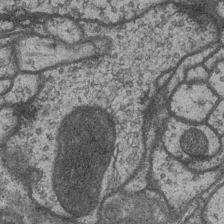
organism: Drosophila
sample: Optic medulla